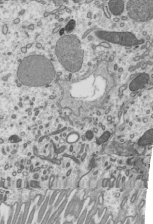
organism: Mouse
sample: Mouse epididymis efferent ductule cilia